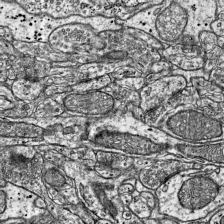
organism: Mouse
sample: Visual Cortex